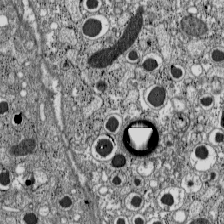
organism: C57BL Mouse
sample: Pancreatic islet